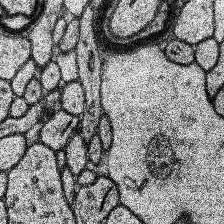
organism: Human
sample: Temporal Lobe